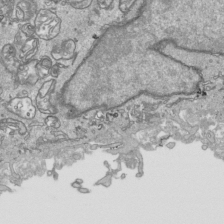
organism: Human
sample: Mitochondria in HCT116 cells